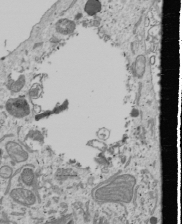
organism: Human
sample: Mitochondria in U2OS cells